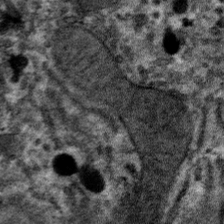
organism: Mouse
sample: Mouse hepatocytes